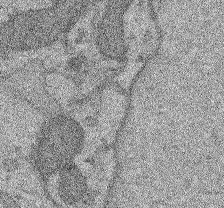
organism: Human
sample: HeLa cells